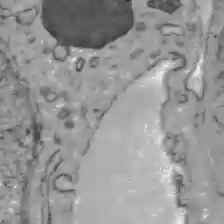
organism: C57BL Mouse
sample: Liver